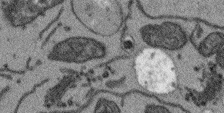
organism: Arabidopsis thaliana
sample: Root tip